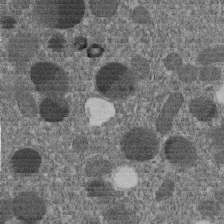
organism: C. elegans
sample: C. elegans embryo early stage